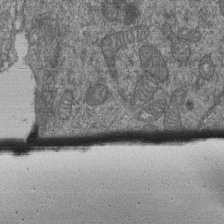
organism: Human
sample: Retinal organoid Rod and Cone cells